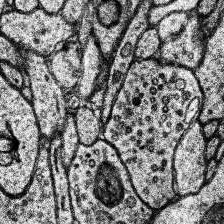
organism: Human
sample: Temporal Lobe